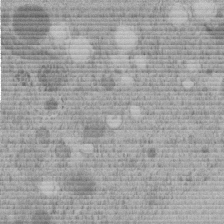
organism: C. elegans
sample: C. elegans embryo early stage